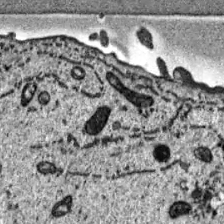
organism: Human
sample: HeLa cells